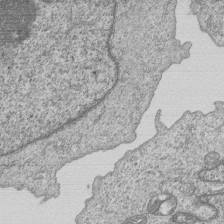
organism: Human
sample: MDA-MB-231 cells